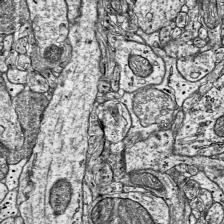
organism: Mouse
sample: Visual Cortex